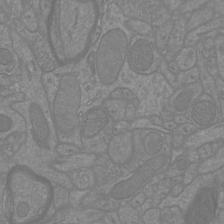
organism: Mouse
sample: Cortical neurons